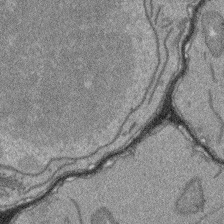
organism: Arabidopsis thaliana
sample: Root tip